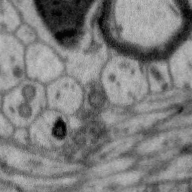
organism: Zebra finch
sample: Brain